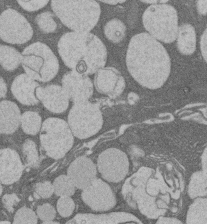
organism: Rat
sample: Salivary granule